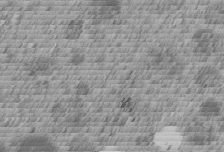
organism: C. elegans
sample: C. elegans embryo early stage